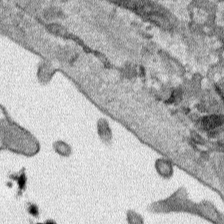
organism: Human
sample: Mitochondria in HCT116 cells